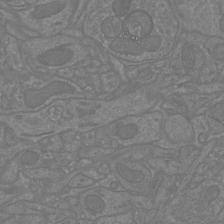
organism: Mouse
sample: Cortical neurons